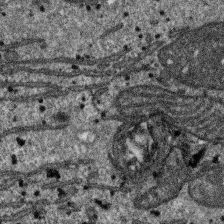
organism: Human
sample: Lung epithelial cells infected with SARS-CoV-2